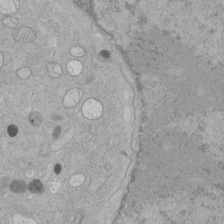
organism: Human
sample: Mitochondria in HCT116 cells